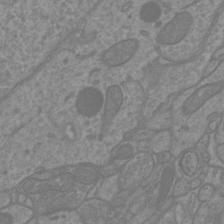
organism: Mouse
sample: Cortical neurons